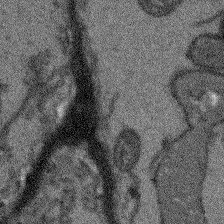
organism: Arabidopsis thaliana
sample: Root tip